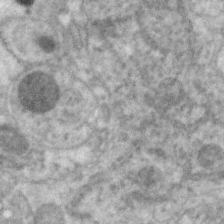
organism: C. elegans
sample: Pharynx